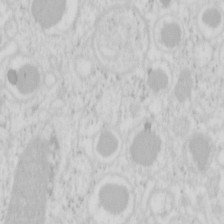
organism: Mouse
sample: Pancreas